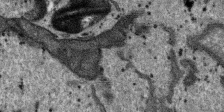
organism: Human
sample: Lung epithelial cells, uninfected (mock) control